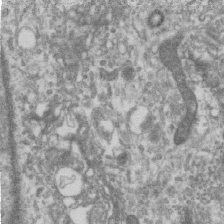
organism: Human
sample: Centriole in RPE cells